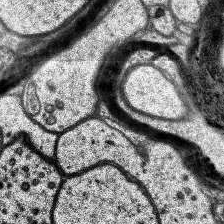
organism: Human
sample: Temporal Lobe